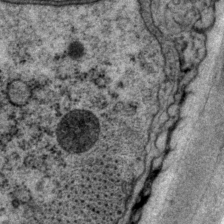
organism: P. pacificus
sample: Pharynx